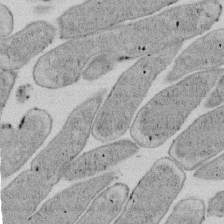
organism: E. coli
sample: Bacterial nucleoid